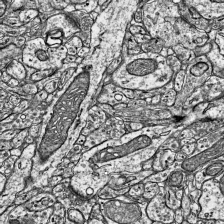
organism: Mouse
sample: Visual Cortex